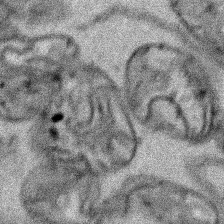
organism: Human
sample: Mitochondria in HCT116 cells